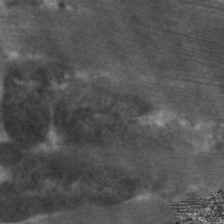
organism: C. elegans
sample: Pharynx